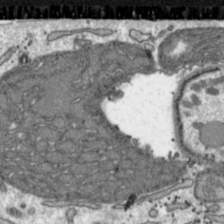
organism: Toxoplasma gondii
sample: Parasites in a vacuole inside a host cell